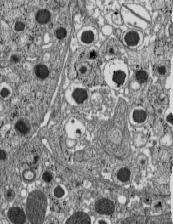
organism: C57BL Mouse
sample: Pancreatic islet